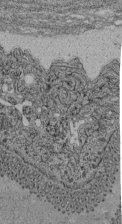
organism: C. elegans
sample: C. elegans pharynx